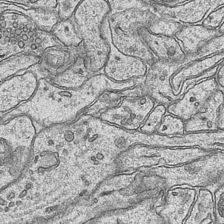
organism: Mouse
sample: CA1 Hippocampus